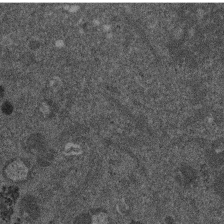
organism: Mouse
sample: Dividing mouse embryo 1 cell stage